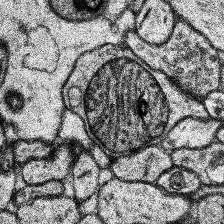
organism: Human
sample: Temporal Lobe